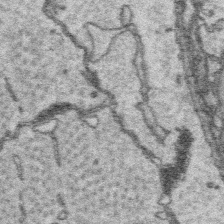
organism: Platynereis dumerilii